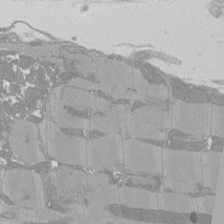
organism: Rat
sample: Left ventricle